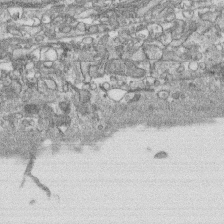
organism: Human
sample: CRL-1474